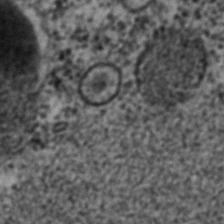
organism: C. elegans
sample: C. elegans embryo